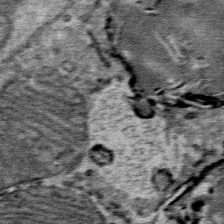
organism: Mouse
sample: Mouse Salivary gland